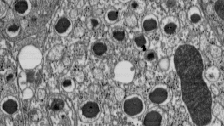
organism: C57BL Mouse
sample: Pancreatic islet